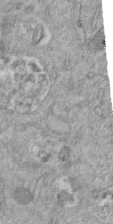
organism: Mouse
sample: ED-1 cell nuclei; centrioles